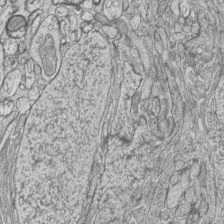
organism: Zebrafish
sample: synaptic ribbons in rod cells and cone cells